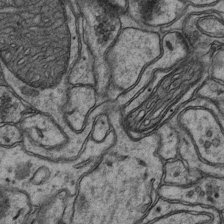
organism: Mouse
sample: CA1 Hippocampus